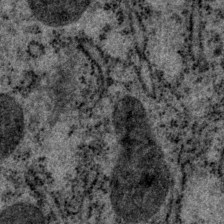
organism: P. pacificus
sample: Pharynx